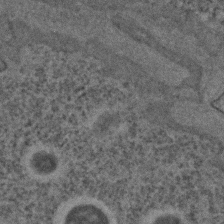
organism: C. elegans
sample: C. elegans embryo